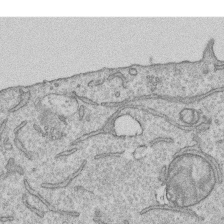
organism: Human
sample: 1205lu cells